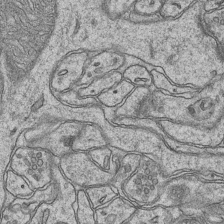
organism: Mouse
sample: CA1 Hippocampus